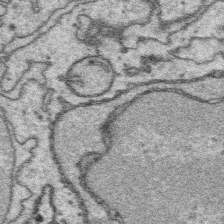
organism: Platynereis dumerilii